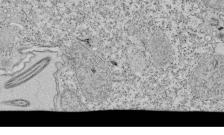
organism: Tetrahymena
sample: Cilia in tetrahymena